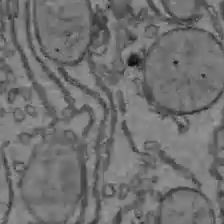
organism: C57BL Mouse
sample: Liver